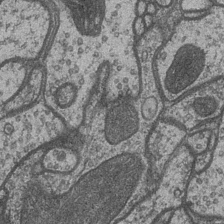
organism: Drosophila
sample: Optic medulla